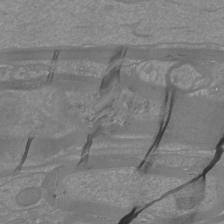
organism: Mouse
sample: Cortical neurons